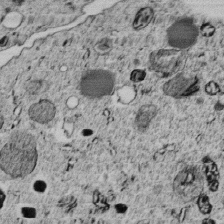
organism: C. elegans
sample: C. elegans embryo early stage